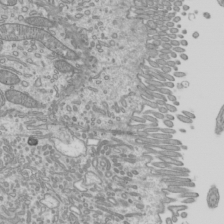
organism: Mouse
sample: Cilia; mouse epididymis